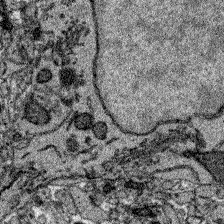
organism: Zebrafish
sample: Larval olfactory bulb